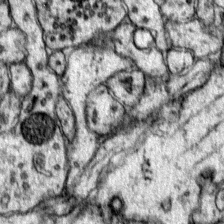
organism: Mouse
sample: Primary visual cortex